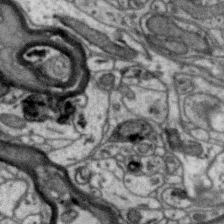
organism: Zebra finch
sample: Brain